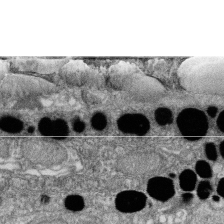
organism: Zebrafish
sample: Cilia; retinal pigment epithelium